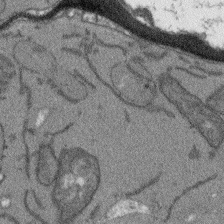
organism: Arabidopsis thaliana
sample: Root tip